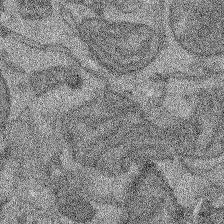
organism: Human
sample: HeLa cells